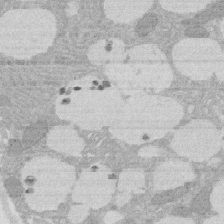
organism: Rat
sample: Salivary granule